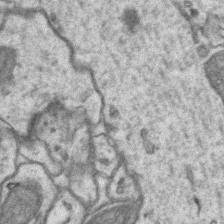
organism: Mouse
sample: CA1 Hippocampus